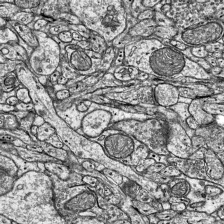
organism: Mouse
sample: Visual Cortex